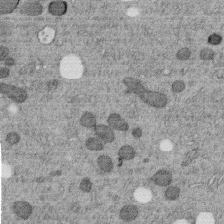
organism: C. elegans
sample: C. elegans embryo early stage